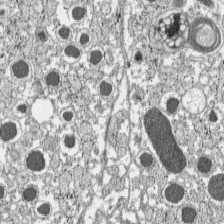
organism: C57BL Mouse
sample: Pancreatic islet